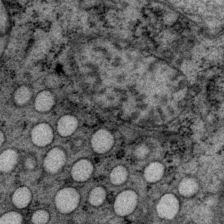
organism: P. pacificus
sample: Pharynx